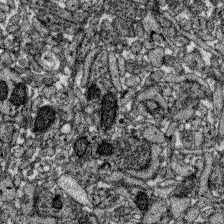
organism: Zebrafish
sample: Larval olfactory bulb